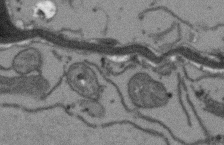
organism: Arabidopsis thaliana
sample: Root tip